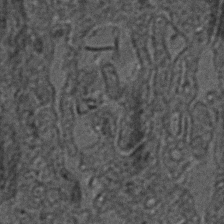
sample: Trachea